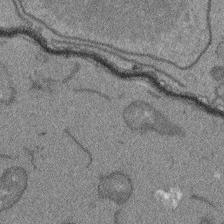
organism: Arabidopsis thaliana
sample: Root tip